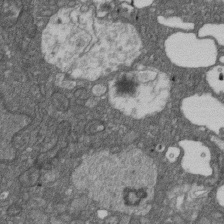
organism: Drosophila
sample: Nephrocyte